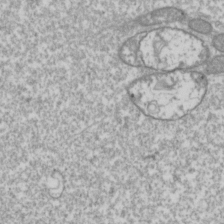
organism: Drosophila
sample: Cell division; meiosis; drosophila spermatocytes